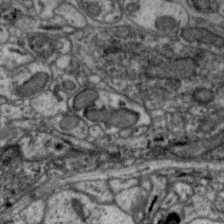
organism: Zebra finch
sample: Brain